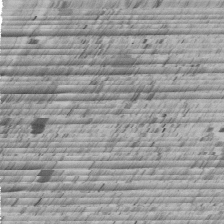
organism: C. elegans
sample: C. elegans embryo early stage